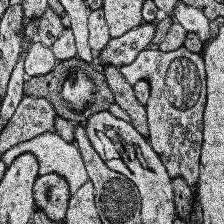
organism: Human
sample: Temporal Lobe